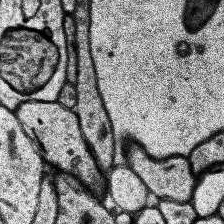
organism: Human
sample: Temporal Lobe